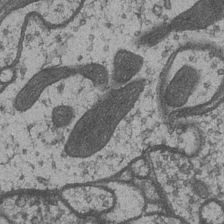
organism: Drosophila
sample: Optic medulla